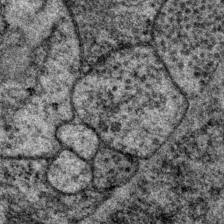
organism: P. pacificus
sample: Pharynx